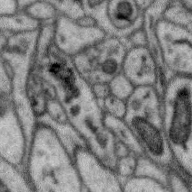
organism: Zebra finch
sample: Brain